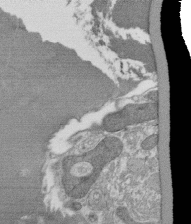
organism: Tetrahymena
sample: Cilia in tetrahymena